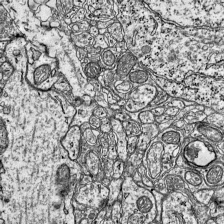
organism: Mouse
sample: Visual Cortex